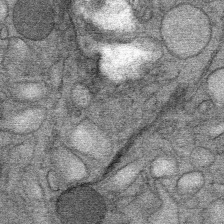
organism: Mouse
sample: Mouse Salivary gland